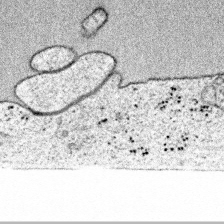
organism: Human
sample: HeLa cells